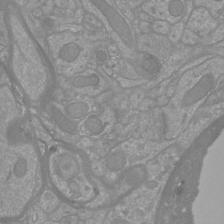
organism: Mouse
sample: Cortical neurons